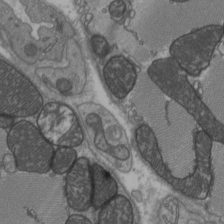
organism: C57BL Mouse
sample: Heart